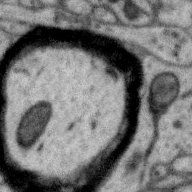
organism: Zebra finch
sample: Brain